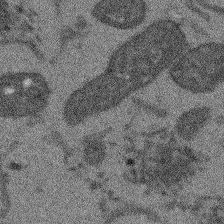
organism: Arabidopsis thaliana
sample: Root tip